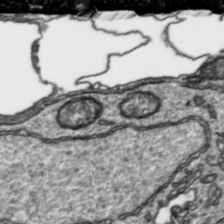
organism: Toxoplasma gondii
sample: Parasites in a vacuole inside a host cell